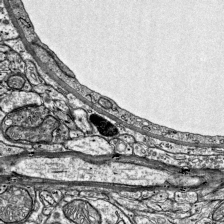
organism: Mouse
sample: Visual Cortex